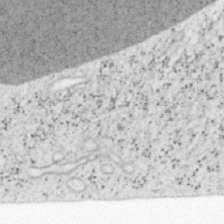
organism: Mouse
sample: OT-I killer T cells with ID8 ovarian cancer cells